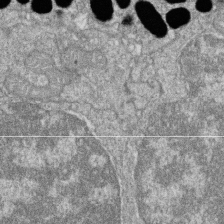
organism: Zebrafish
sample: Cilia; retinal pigment epithelium